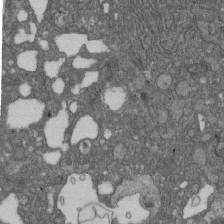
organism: Drosophila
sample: Nephrocyte